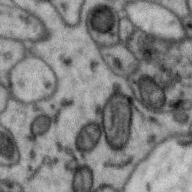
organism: Zebra finch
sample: Brain